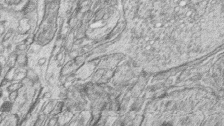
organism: Zebrafish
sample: synaptic ribbons in rod cells and cone cells